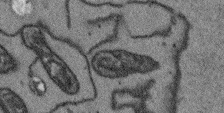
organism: Arabidopsis thaliana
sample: Root tip